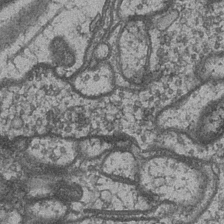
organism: Drosophila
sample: Optic medulla